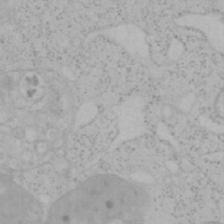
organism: Mouse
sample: OT-I killer T cells with ID8 ovarian cancer cells